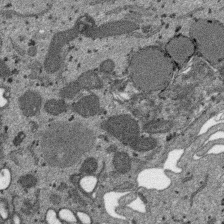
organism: Human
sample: Lung epithelial cells infected with SARS-CoV-2